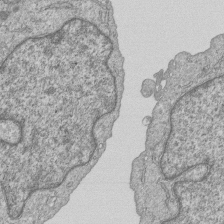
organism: Human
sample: MDA-MB-231 cells